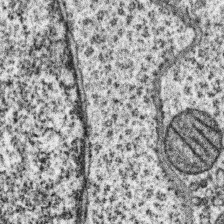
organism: Human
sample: HeLa cells